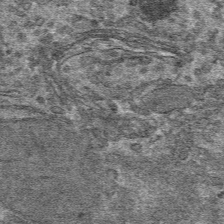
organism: Mouse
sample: Mouse hepatocytes